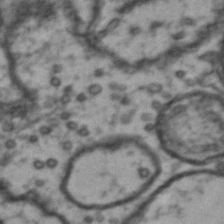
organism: Drosophila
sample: Brain